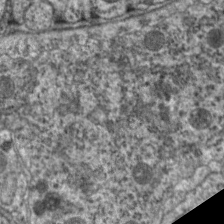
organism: C. elegans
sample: Pharynx